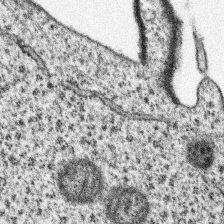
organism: Human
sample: HeLa cells